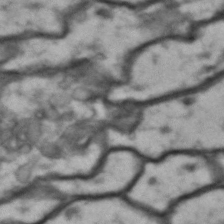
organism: Drosophila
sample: Brain